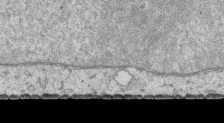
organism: Human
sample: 1205lu cells